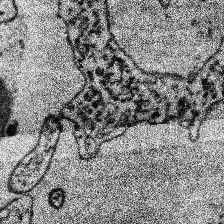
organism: Human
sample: Temporal Lobe